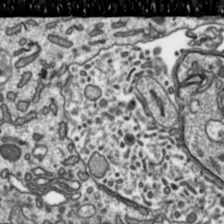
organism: Toxoplasma gondii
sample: Parasites in a vacuole inside a host cell